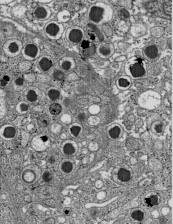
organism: C57BL Mouse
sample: Pancreatic islet